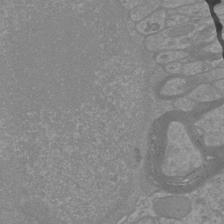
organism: Mouse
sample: Cortical neurons